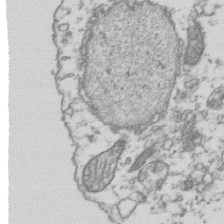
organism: Human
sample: Activated Jurkat CD4+ T cells